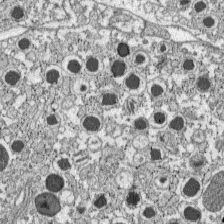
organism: C57BL Mouse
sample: Pancreatic islet